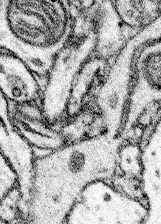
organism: Mouse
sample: Somatosensory cortex neuropil